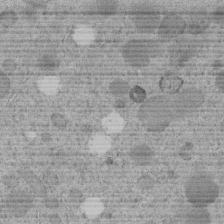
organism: C. elegans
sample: C. elegans embryo early stage